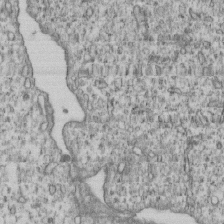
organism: Human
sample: MDA-MB-231 cells